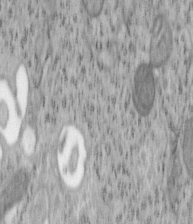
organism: Human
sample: HeLa cells